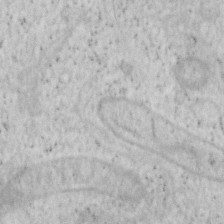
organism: Human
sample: HeLa cells